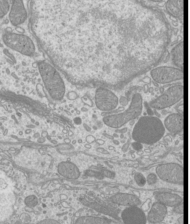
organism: Mouse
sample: Cilia; mouse epididymis